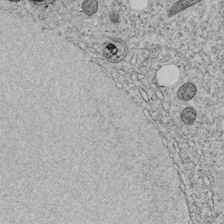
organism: C. elegans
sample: C. elegans embryo early stage